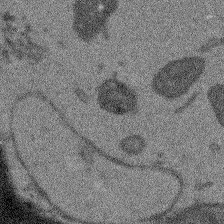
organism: Arabidopsis thaliana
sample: Root tip